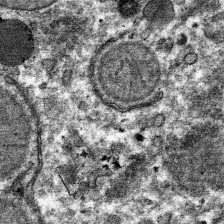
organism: Mouse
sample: Mouse hepatocytes